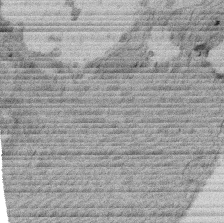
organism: Rat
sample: Salivary granule